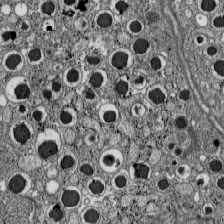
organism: C57BL Mouse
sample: Pancreatic islet